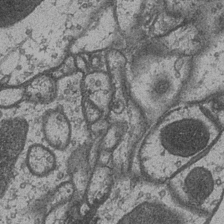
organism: Drosophila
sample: Optic medulla